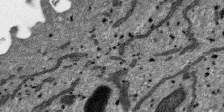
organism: Human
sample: Lung epithelial cells, uninfected (mock) control